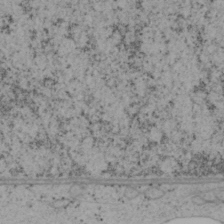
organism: Human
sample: HeLa cells